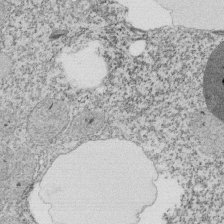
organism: Tetrahymena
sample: Cilia in tetrahymena